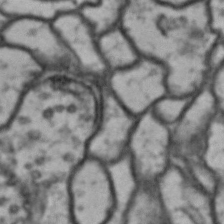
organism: Drosophila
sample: Brain